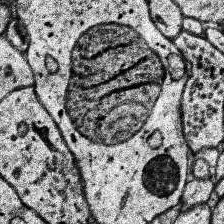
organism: Human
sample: Temporal Lobe